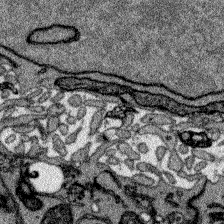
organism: Zebrafish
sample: Larval olfactory bulb